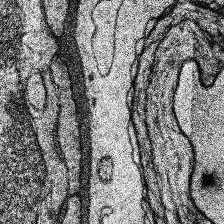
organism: Human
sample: Temporal Lobe